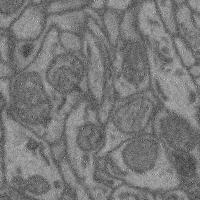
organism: Mouse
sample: Cerebral cortex